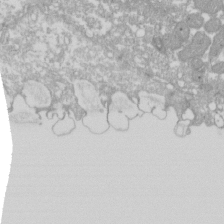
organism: Xenopus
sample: Cilia; centrioles in frog embryo cells